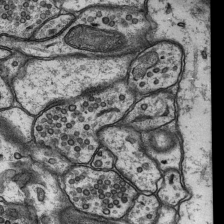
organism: Rat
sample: Hippocampus